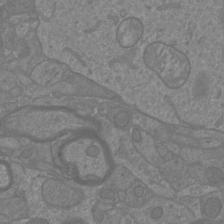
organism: Mouse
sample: Cortical neurons